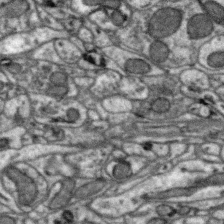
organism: Zebra finch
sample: Brain